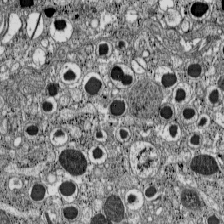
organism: C57BL Mouse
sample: Pancreatic islet